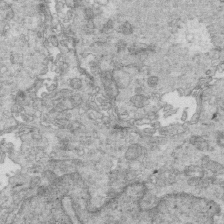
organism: Mouse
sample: Multiciliated cells